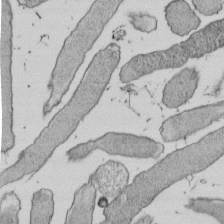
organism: E. coli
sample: Bacterial nucleoid